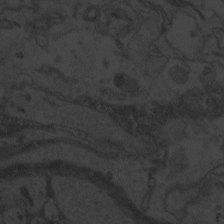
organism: Zebrafish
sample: Macrophage infected with Toxoplasma gondii